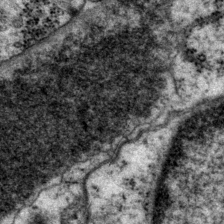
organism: P. pacificus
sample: Pharynx